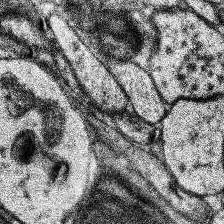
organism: Human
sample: Temporal Lobe